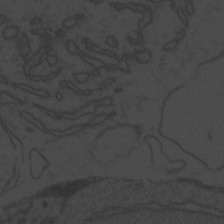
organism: Zebrafish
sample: Macrophage infected with Toxoplasma gondii